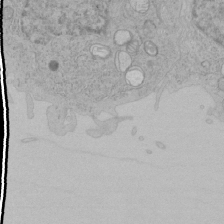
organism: Human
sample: Mitochondria in HCT116 cells